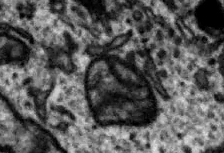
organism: Human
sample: HeLa cells